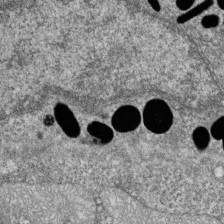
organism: Zebrafish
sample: Cilia; retinal pigment epithelium